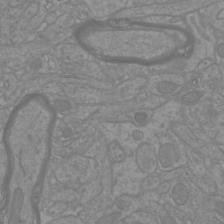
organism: Mouse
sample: Cortical neurons